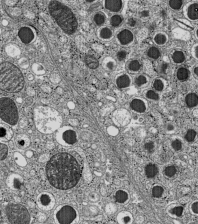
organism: C57BL Mouse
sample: Pancreatic islet